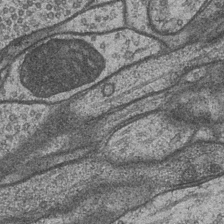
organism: Drosophila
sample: Optic medulla